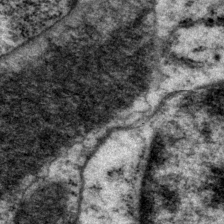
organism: P. pacificus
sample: Pharynx